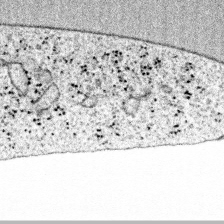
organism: Human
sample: HeLa cells